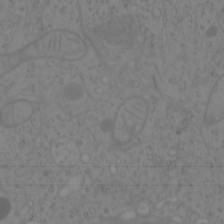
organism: Human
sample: HeLa cells